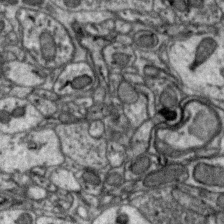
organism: Zebra finch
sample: Brain